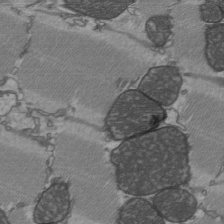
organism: C57BL Mouse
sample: Heart